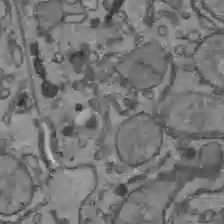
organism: C57BL Mouse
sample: Liver